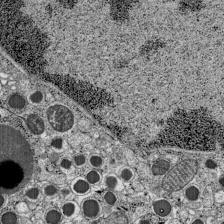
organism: C57BL Mouse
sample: Pancreatic islet